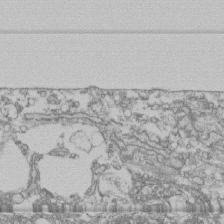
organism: Human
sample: Fibroblast cells